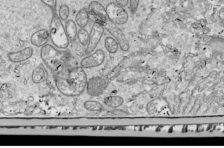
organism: Drosophila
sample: Cell division; meiosis; drosophila spermatocytes